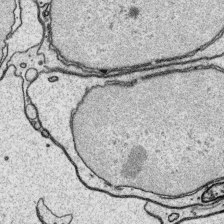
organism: Platynereis dumerilii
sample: Parapodia